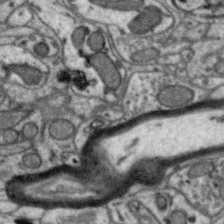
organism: Zebra finch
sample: Brain